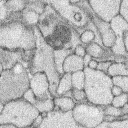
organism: Rabbit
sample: Retina